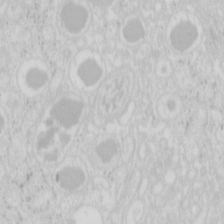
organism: Mouse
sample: Pancreas